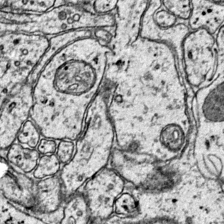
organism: Mouse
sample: Primary visual cortex